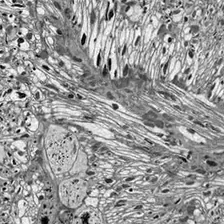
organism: Drosophila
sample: Optic lobe